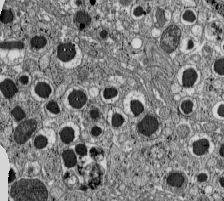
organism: C57BL Mouse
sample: Pancreatic islet